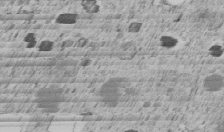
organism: C. elegans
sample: C. elegans embryo early stage